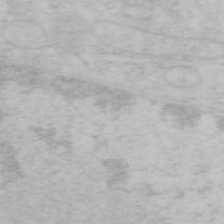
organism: Mouse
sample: OT-I killer T cells with ID8 ovarian cancer cells